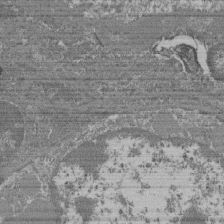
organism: Mouse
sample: Glomerulus